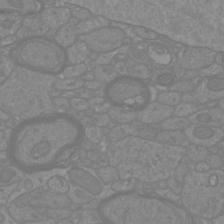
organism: Mouse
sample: Cortical neurons